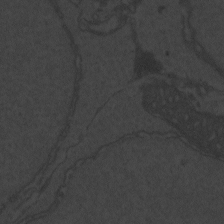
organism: Zebrafish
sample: Macrophage infected with Toxoplasma gondii